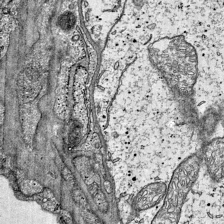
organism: Mouse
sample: Visual Cortex